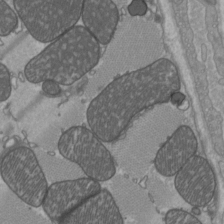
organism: C57BL Mouse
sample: Heart